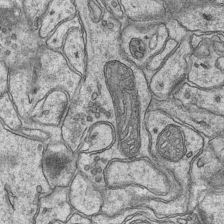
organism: Mouse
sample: CA1 Hippocampus